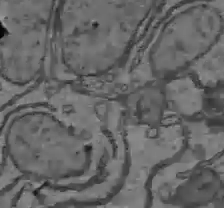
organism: C57BL Mouse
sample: Liver